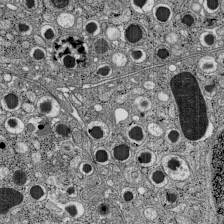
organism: C57BL Mouse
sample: Pancreatic islet